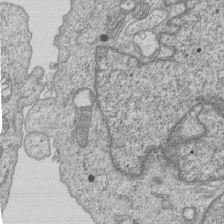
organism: Human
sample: MDA-MB-231 cells